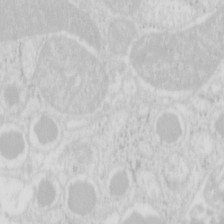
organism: Mouse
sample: Pancreas